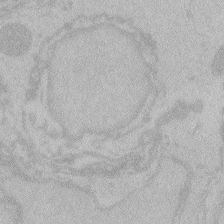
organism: Zebrafish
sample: Macrophage infected with Toxoplasma gondii